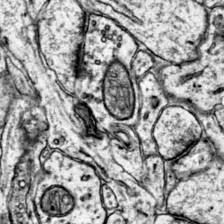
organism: Mouse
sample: Primary visual cortex